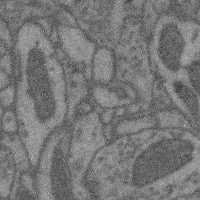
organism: Mouse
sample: Cerebral cortex